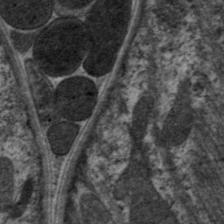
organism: C. elegans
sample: Pharynx